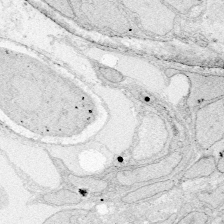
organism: Zebrafish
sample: Whole-Brain